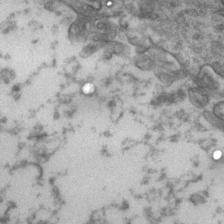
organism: Zebrafish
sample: Zebrafish embryo